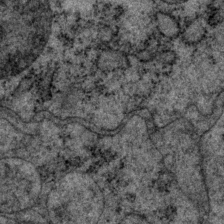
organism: P. pacificus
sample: Pharynx